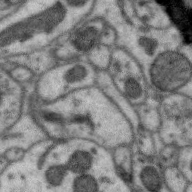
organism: Zebra finch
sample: Brain